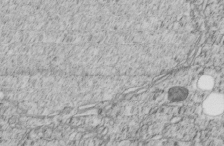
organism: C. elegans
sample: C. elegans embryo early stage